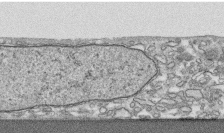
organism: Human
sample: CRL-1474